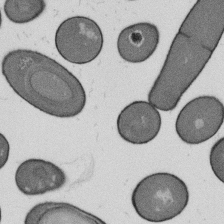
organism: B. subtilis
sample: Bacterial spore